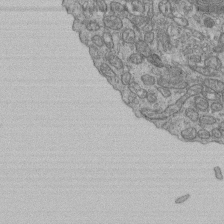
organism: Human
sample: Retinal organoid Rod and Cone cells